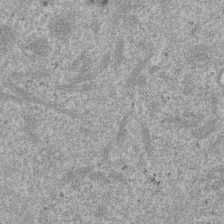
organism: Mouse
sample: Dividing mouse embryo 1 cell stage